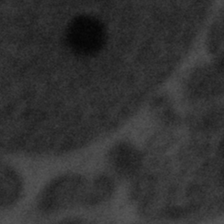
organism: Tuwongella immobilis